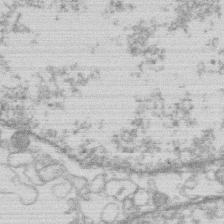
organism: Human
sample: Macrophage cells